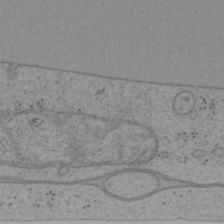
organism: Human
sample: HeLa cells